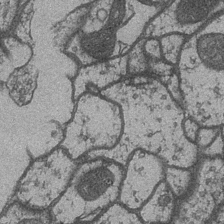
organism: Drosophila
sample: Optic medulla